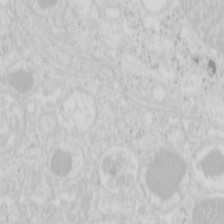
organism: Mouse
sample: Pancreas